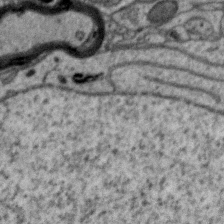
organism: Zebra finch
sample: Brain